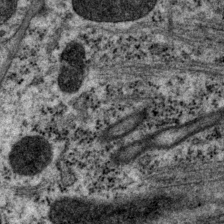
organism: P. pacificus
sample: Pharynx